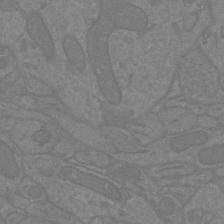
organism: Mouse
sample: Cortical neurons